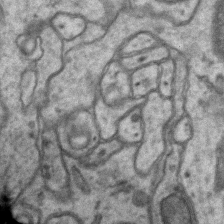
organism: Mouse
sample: CA1 Hippocampus